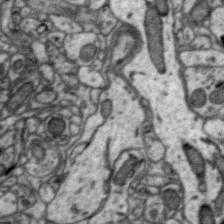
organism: Zebra finch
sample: Brain